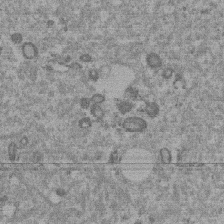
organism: Mouse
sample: Dividing mouse embryo 1 cell stage